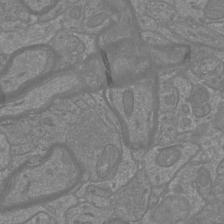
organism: Mouse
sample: Cortical neurons